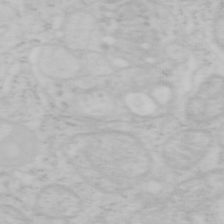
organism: Mouse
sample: OT-I killer T cells with ID8 ovarian cancer cells